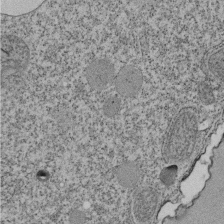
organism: Tetrahymena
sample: Cilia in tetrahymena